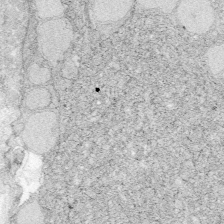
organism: Zebrafish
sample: Whole-Brain